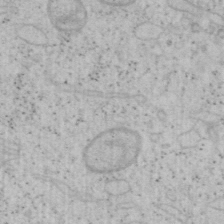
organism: Human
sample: HeLa cells